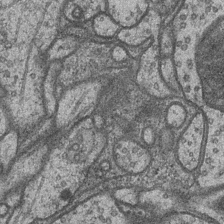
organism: Drosophila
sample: Optic medulla